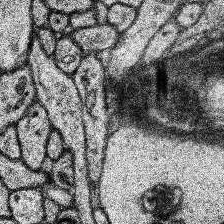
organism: Human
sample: Temporal Lobe